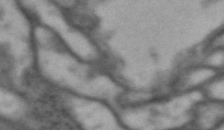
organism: Drosophila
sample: Brain